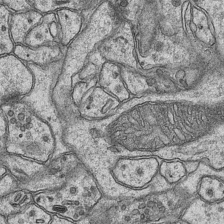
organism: Mouse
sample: CA1 Hippocampus